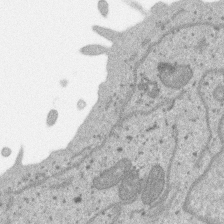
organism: Human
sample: Lung epithelial cells infected with SARS-CoV-2